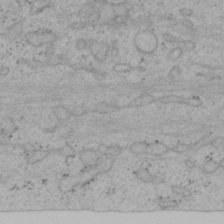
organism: Human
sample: HeLa cells